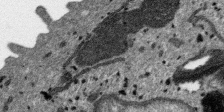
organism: Human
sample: Lung epithelial cells, uninfected (mock) control